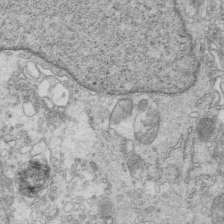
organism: Mouse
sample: Multiciliated cells